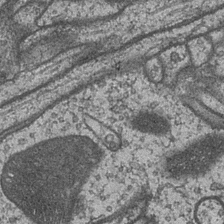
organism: Drosophila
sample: Optic medulla